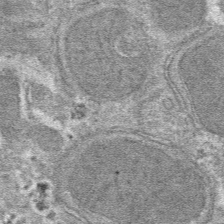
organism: Mouse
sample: Mouse hepatocytes